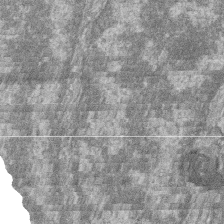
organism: Zebrafish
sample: Cilia; retinal pigment epithelium